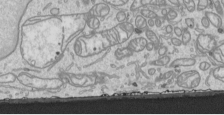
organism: Human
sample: Mitochondria in HCT116 cells